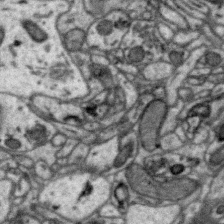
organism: Zebra finch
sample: Brain